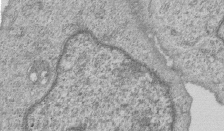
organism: Human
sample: MDA-MB-231 cells